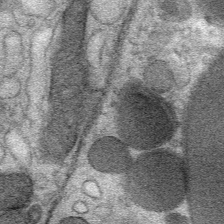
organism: Mouse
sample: Mouse Salivary gland